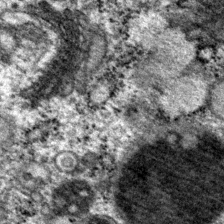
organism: P. pacificus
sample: Pharynx